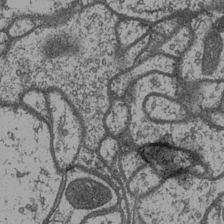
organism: Drosophila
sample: Optic medulla